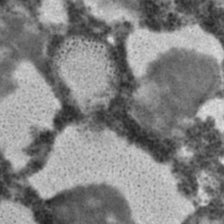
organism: C. elegans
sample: C. elegans embryo